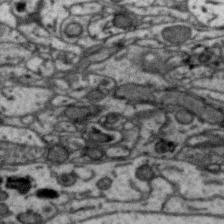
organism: Zebra finch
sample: Brain